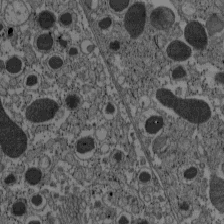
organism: C57BL Mouse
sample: Pancreatic islet